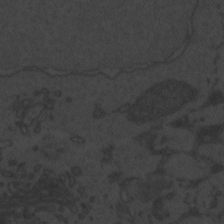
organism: Zebrafish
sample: Macrophage infected with Toxoplasma gondii